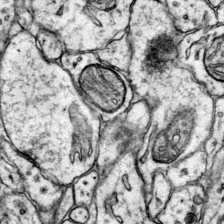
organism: Mouse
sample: Primary visual cortex